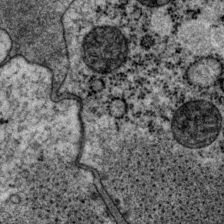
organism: P. pacificus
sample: Pharynx